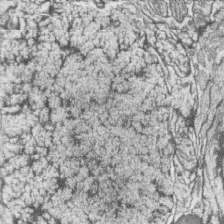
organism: Zebrafish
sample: synaptic ribbons in rod cells and cone cells